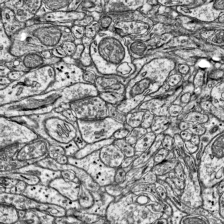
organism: Mouse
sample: Visual Cortex